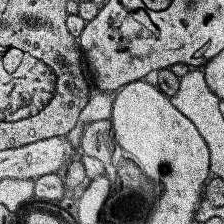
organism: Human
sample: Temporal Lobe